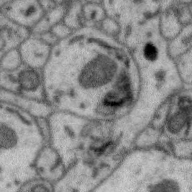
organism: Zebra finch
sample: Brain